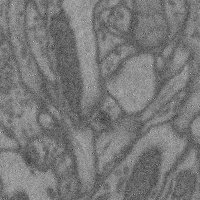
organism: Mouse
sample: Cerebral cortex